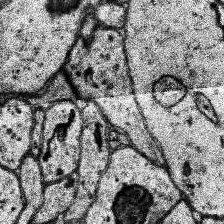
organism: Human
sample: Temporal Lobe